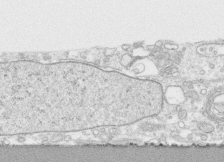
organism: Human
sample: CRL-1474